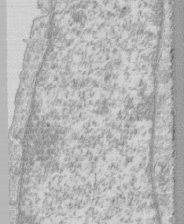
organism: Human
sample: CRL-1474